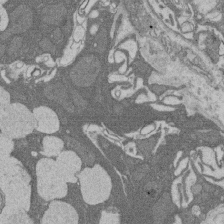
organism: Rat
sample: Salivary granule